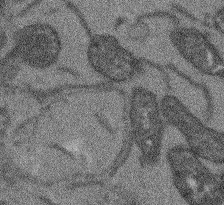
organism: Arabidopsis thaliana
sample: Root tip